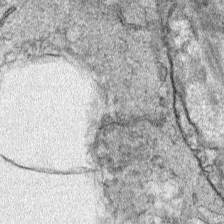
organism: Human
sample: Mitochondria in HCT116 cells